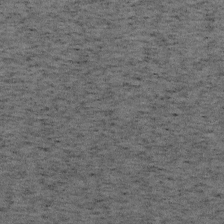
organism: Mouse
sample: OT-I killer T cells with ID8 ovarian cancer cells